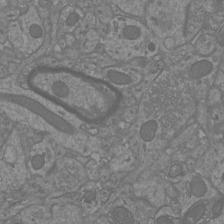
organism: Mouse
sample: Cortical neurons